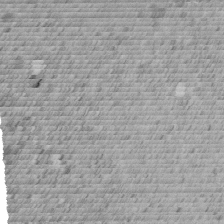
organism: C. elegans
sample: C. elegans embryo early stage